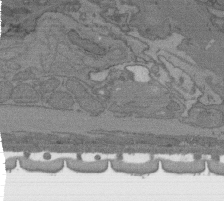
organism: C. elegans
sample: AFD neurons C. elegans